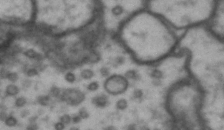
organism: Drosophila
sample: Brain